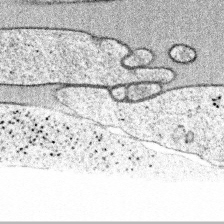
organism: Human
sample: HeLa cells